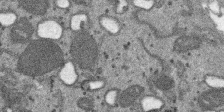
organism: Human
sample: Lung epithelial cells infected with SARS-CoV-2